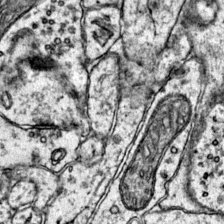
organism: Mouse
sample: Primary visual cortex